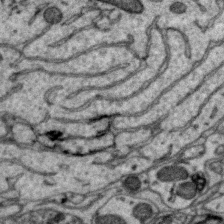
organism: Zebra finch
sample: Brain